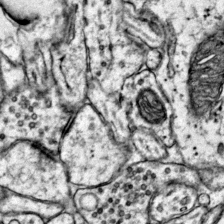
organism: Mouse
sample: Primary visual cortex